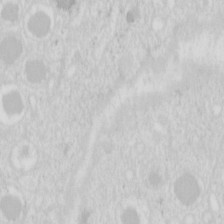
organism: Mouse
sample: Pancreas